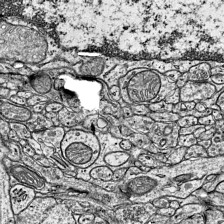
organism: Mouse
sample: Visual Cortex